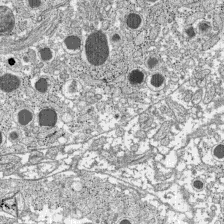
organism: C57BL Mouse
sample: Pancreatic islet